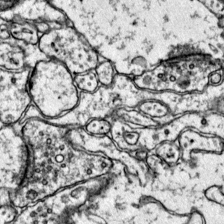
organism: Mouse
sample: Primary visual cortex